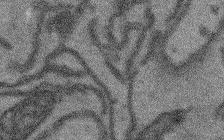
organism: Arabidopsis thaliana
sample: Root tip